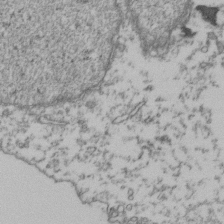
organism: Human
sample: Activated Jurkat CD4+ T cells